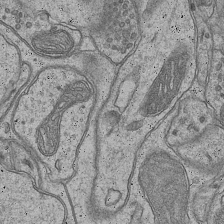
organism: Mouse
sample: CA1 Hippocampus